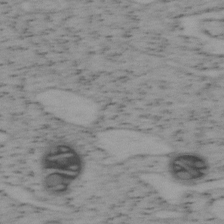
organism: Mouse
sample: OT-I killer T cells with ID8 ovarian cancer cells